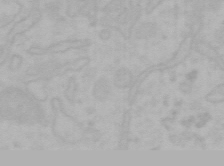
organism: Mouse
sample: Choroid plexus